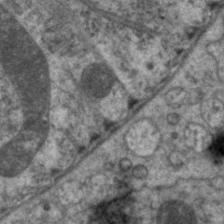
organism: C. elegans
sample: Pharynx